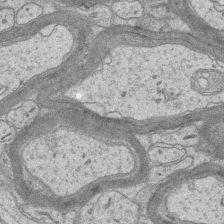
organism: Mouse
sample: CA1 Hippocampus